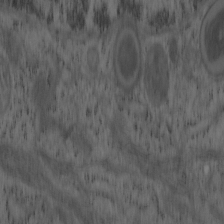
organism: Human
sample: HeLa cells